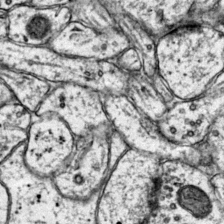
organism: Mouse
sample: Primary visual cortex